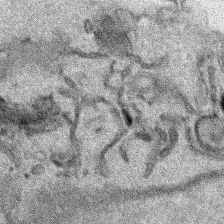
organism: Human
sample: Mitochondria in HCT116 cells